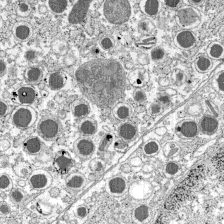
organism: C57BL Mouse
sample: Pancreatic islet